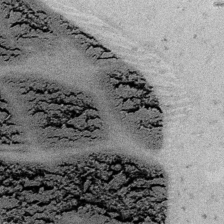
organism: Embia sp.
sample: Silk gland